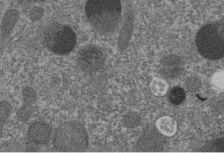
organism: C. elegans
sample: C. elegans embryo early stage